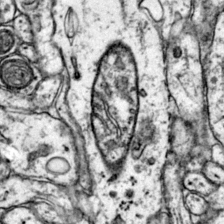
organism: Mouse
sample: Primary visual cortex